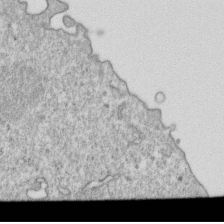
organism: Mouse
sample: Activated OT-1 CD8+ T cells